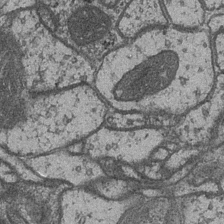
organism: Drosophila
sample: Optic medulla